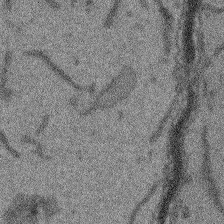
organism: Arabidopsis thaliana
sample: Root tip